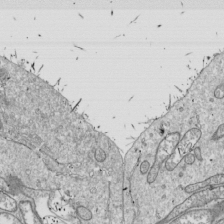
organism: Drosophila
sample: Cell division; meiosis; drosophila spermatocytes